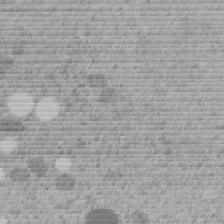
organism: C. elegans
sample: C. elegans embryo early stage